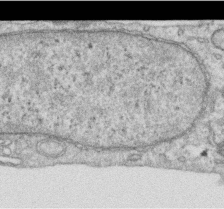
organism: Human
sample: Centriole in RPE cells